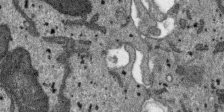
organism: Human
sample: Lung epithelial cells, uninfected (mock) control